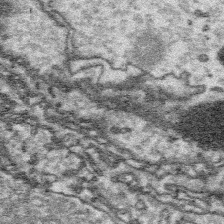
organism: Platynereis dumerilii